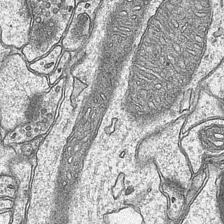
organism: Mouse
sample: CA1 Hippocampus